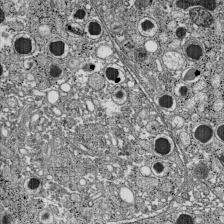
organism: C57BL Mouse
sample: Pancreatic islet